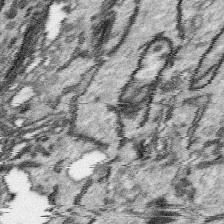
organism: Human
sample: HeLa cells